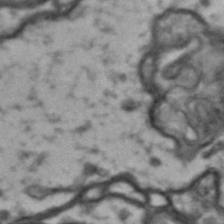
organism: Drosophila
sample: Brain